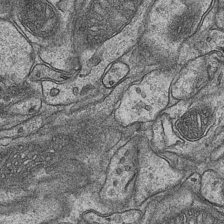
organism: Mouse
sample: CA1 Hippocampus